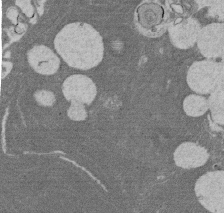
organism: Rat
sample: Salivary granule